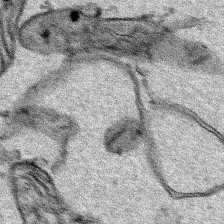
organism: Human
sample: Mitochondria in HCT116 cells